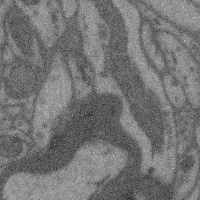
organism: Mouse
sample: Cerebral cortex